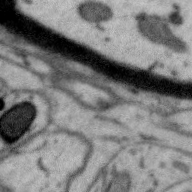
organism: Zebra finch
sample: Brain